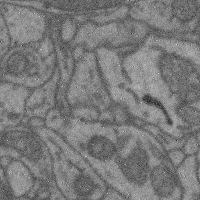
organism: Mouse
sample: Cerebral cortex